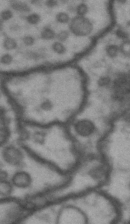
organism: Drosophila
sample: Brain